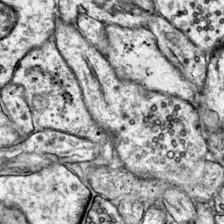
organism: Mouse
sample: Primary visual cortex